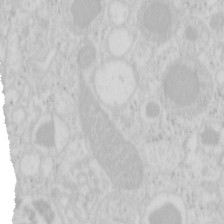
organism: Mouse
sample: Pancreas